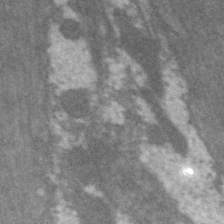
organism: C. elegans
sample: Pharynx